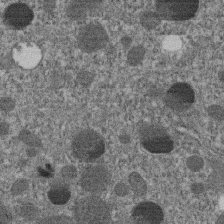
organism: C. elegans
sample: C. elegans embryo early stage